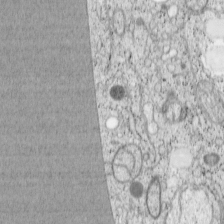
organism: African green monkey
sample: COS-7 cells